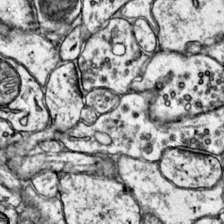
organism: Mouse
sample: Primary visual cortex